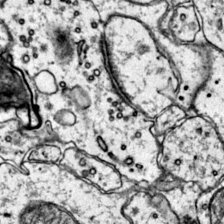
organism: Mouse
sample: Primary visual cortex